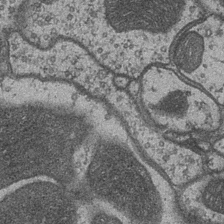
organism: Drosophila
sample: Optic medulla